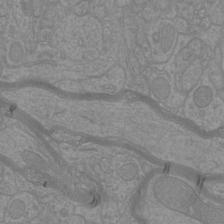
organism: Mouse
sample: Cortical neurons